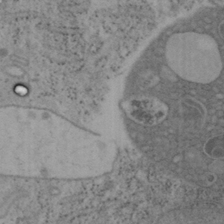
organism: Mouse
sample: OT-I killer T cells with ID8 ovarian cancer cells